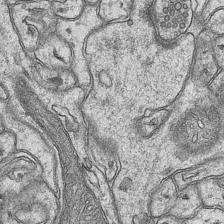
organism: Mouse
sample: CA1 Hippocampus